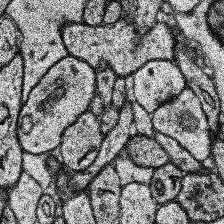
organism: Human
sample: Temporal Lobe